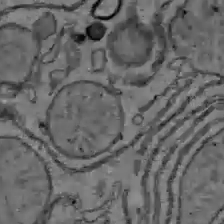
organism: C57BL Mouse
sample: Liver